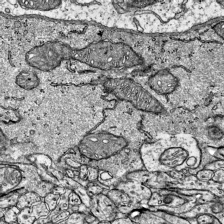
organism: Mouse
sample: Visual Cortex